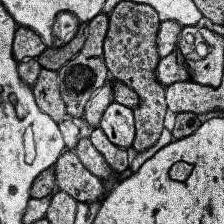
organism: Human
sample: Temporal Lobe